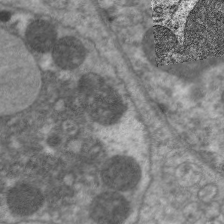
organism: C. elegans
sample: Pharynx